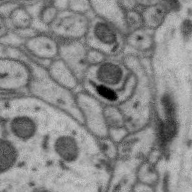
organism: Zebra finch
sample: Brain